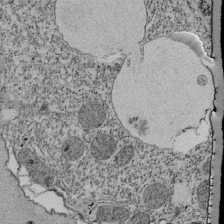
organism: Tetrahymena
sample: Cilia in tetrahymena